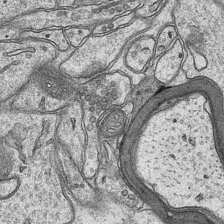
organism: Mouse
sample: CA1 Hippocampus